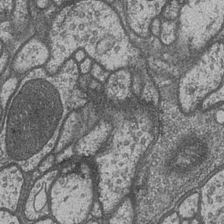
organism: Drosophila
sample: Optic medulla